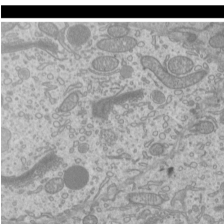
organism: Mouse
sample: Cilia; mouse epididymis